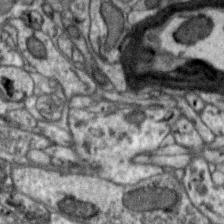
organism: Zebra finch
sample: Brain